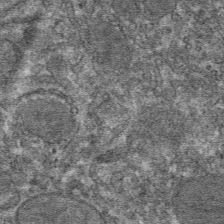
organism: Mouse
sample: Mouse hepatocytes